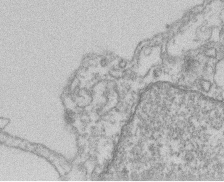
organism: Mouse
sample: T cell stromal cell synapse